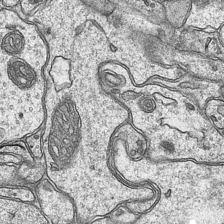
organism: Mouse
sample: CA1 Hippocampus